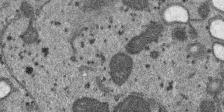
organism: Human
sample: Lung epithelial cells infected with SARS-CoV-2